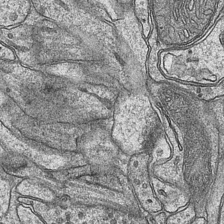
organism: Mouse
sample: CA1 Hippocampus